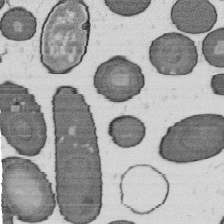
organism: B. subtilis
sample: Bacterial spore